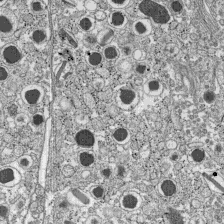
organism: C57BL Mouse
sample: Pancreatic islet